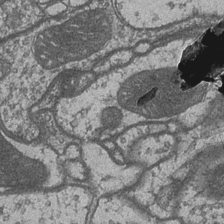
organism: Drosophila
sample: Optic medulla